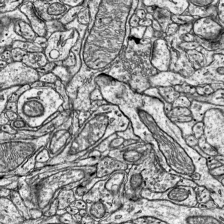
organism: Mouse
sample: Visual Cortex